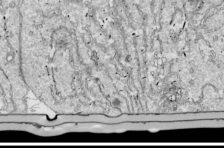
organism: Drosophila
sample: Cell division; meiosis; drosophila spermatocytes